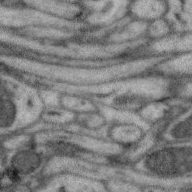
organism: Zebra finch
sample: Brain